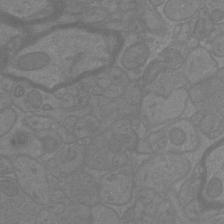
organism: Mouse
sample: Cortical neurons